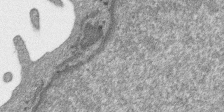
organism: Human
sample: Lung epithelial cells infected with SARS-CoV-2